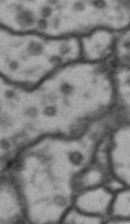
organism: Drosophila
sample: Brain